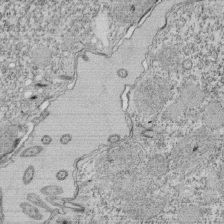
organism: Tetrahymena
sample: Cilia in tetrahymena